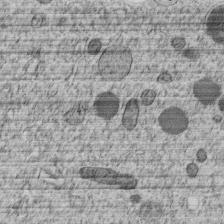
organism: C. elegans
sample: C. elegans embryo early stage